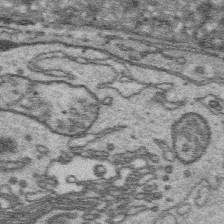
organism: Platynereis dumerilii